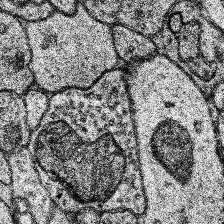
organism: Human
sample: Temporal Lobe